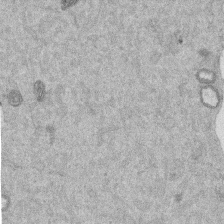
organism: Mouse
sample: Dividing mouse embryo 1 cell stage